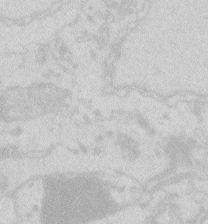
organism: Zebrafish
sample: Macrophage